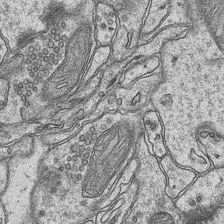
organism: Mouse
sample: CA1 Hippocampus